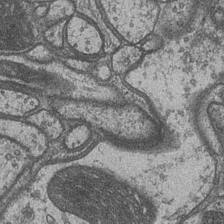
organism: Drosophila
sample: Optic medulla